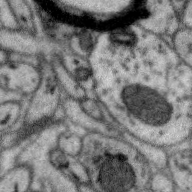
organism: Zebra finch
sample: Brain